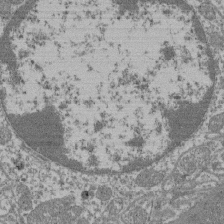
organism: Mouse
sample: Glomerulus